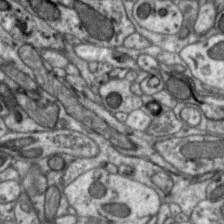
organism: Zebra finch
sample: Brain